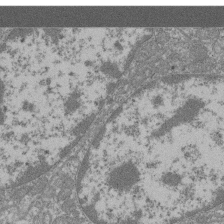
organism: Mouse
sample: Glomerulus